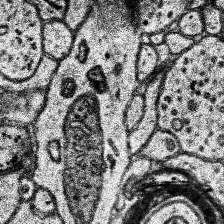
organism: Human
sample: Temporal Lobe